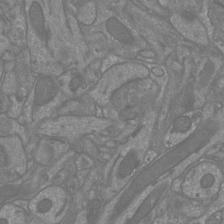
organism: Mouse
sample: Cortical neurons